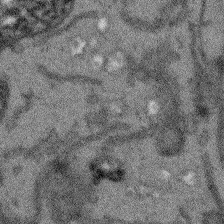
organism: Arabidopsis thaliana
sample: Root tip